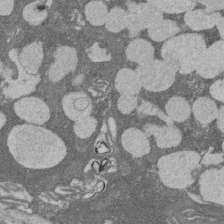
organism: Rat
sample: Salivary granule